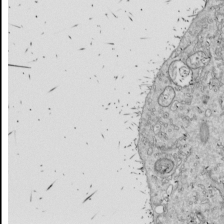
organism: Drosophila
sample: Cell division; meiosis; drosophila spermatocytes